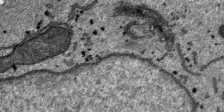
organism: Human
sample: Lung epithelial cells, uninfected (mock) control